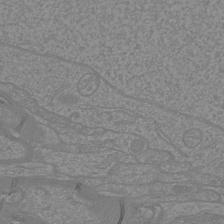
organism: Mouse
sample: Cortical neurons